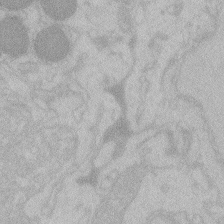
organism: Zebrafish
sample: Macrophage infected with Toxoplasma gondii